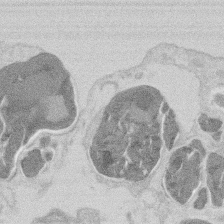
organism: Mouse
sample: T cell stromal cell synapse